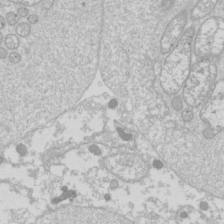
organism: Drosophila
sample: Cell division; meiosis; drosophila spermatocytes